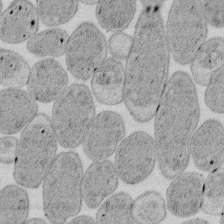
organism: E. coli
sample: Bacterial nucleoid